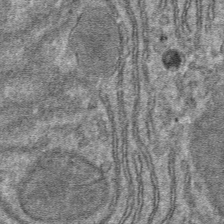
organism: Mouse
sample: Mouse hepatocytes